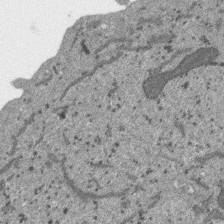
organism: Human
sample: Lung epithelial cells infected with SARS-CoV-2